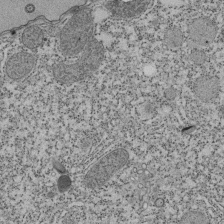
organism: Tetrahymena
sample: Cilia in tetrahymena